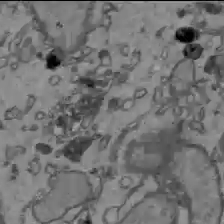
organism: C57BL Mouse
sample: Liver